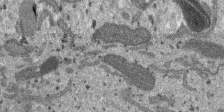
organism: Human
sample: Lung epithelial cells infected with SARS-CoV-2